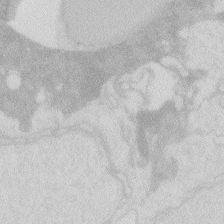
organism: Zebrafish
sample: Macrophage